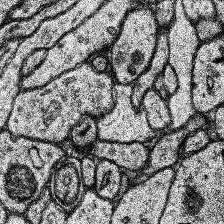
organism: Human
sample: Temporal Lobe